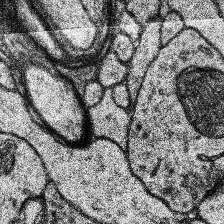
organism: Human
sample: Temporal Lobe